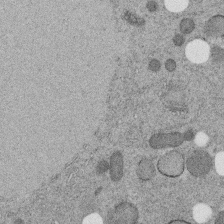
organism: C. elegans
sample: C. elegans embryo early stage